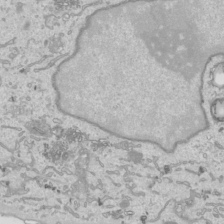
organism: Human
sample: Mitochondria in HCT116 cells